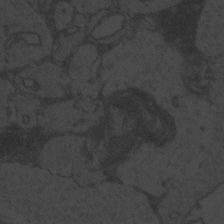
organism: Zebrafish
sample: Macrophage infected with Toxoplasma gondii